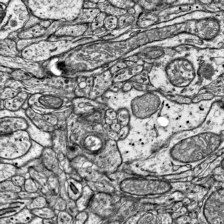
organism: Mouse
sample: Visual Cortex